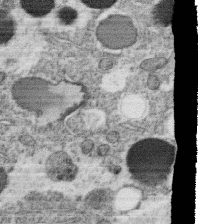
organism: C. elegans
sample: C. elegans oocyte; sperm cells